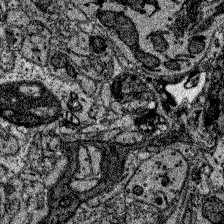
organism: Zebrafish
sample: Larval olfactory bulb